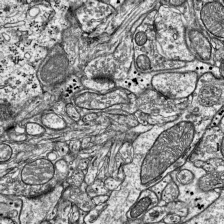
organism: Mouse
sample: Visual Cortex